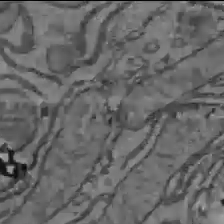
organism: C57BL Mouse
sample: Liver